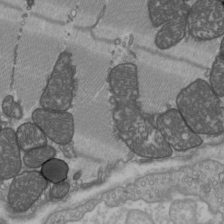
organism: C57BL Mouse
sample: Heart